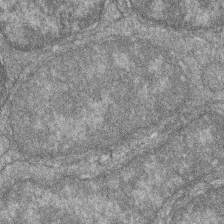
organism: Zebrafish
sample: Cilia; retinal pigment epithelium